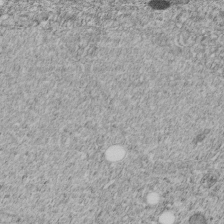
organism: C. elegans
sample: C. elegans embryo early stage